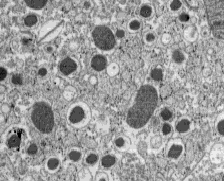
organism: C57BL Mouse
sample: Pancreatic islet